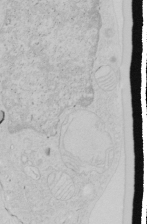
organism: Human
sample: Mitochondria in HCT116 cells